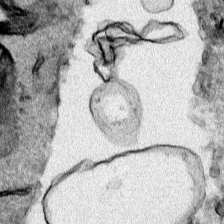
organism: Human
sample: Mitochondria in HCT116 cells